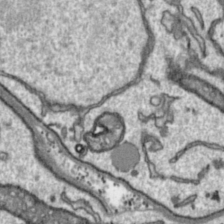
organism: Toxoplasma gondii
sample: Parasites in a vacuole inside a host cell